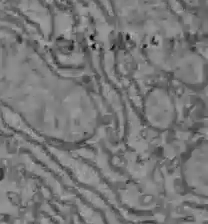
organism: C57BL Mouse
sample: Liver